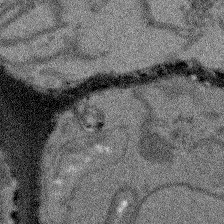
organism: Arabidopsis thaliana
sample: Root tip